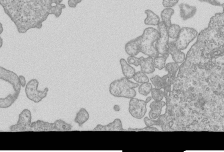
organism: Human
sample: MDA-MB-231 cells